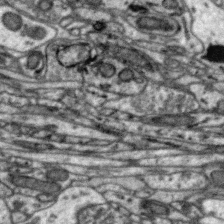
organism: Zebra finch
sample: Brain